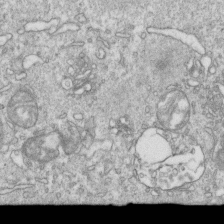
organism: Mouse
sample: Activated OT-1 CD8+ T cells